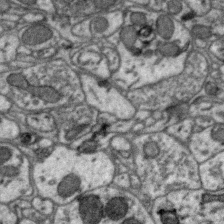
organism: Zebra finch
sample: Brain